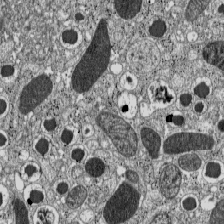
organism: C57BL Mouse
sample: Pancreatic islet